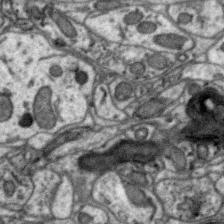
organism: Zebra finch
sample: Brain